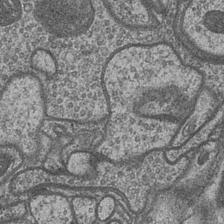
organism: Drosophila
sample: Optic medulla